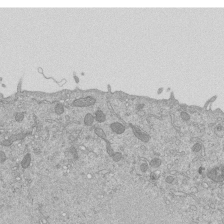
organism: Mouse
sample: ED-1 cell nuclei; centrioles